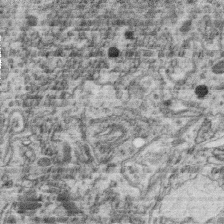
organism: C. elegans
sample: C. elegans oocyte; sperm cells